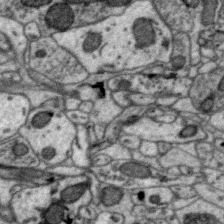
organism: Zebra finch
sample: Brain